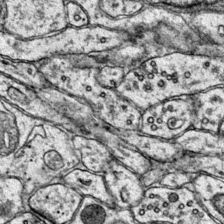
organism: Mouse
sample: Primary visual cortex